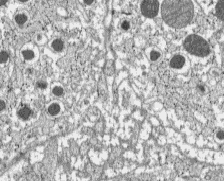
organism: C57BL Mouse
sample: Pancreatic islet